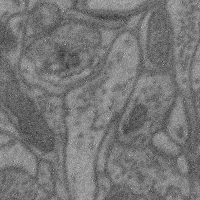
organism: Mouse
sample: Cerebral cortex